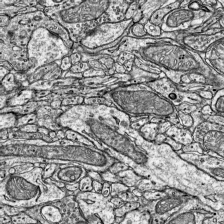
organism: Mouse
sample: Visual Cortex